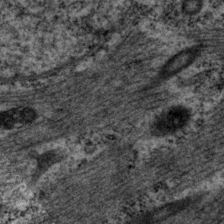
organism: P. pacificus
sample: Pharynx